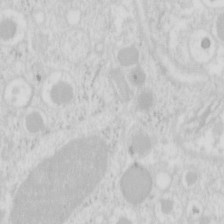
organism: Mouse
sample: Pancreas